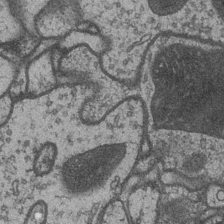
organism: Drosophila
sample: Optic medulla